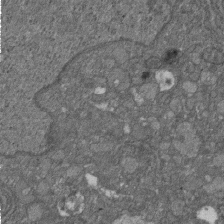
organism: Drosophila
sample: Nephrocyte